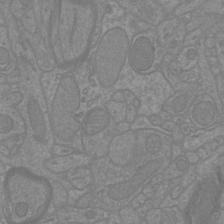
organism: Mouse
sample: Cortical neurons